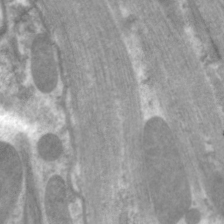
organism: C. elegans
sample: Pharynx